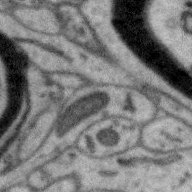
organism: Zebra finch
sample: Brain